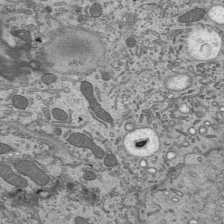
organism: Mouse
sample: Mouse epididymis efferent ductule cilia